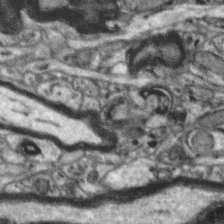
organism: Zebra finch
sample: Brain